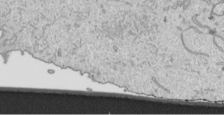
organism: Human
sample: Mitochondria in HCT116 cells